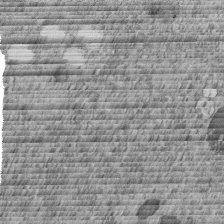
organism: C. elegans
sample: C. elegans embryo early stage